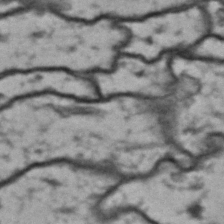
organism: Drosophila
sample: Brain